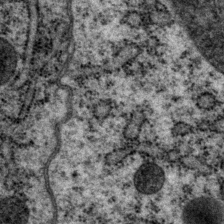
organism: P. pacificus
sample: Pharynx